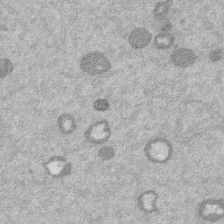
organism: Mouse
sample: Dividing mouse embryo 1 cell stage